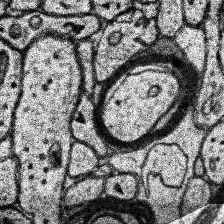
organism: Human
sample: Temporal Lobe